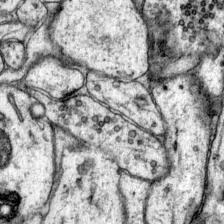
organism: Mouse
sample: Primary visual cortex